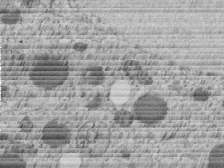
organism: C. elegans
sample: C. elegans embryo early stage